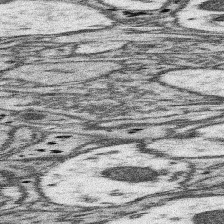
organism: Mouse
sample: Somatosensory cortex neuropil